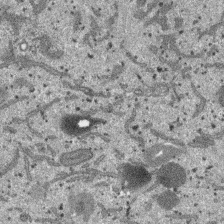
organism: Human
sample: Lung epithelial cells infected with SARS-CoV-2